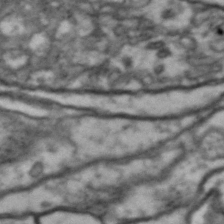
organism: Drosophila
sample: Brain